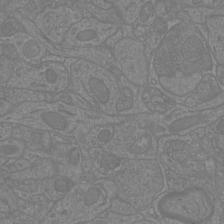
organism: Mouse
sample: Cortical neurons